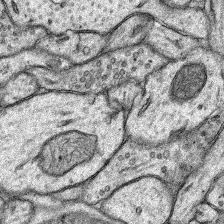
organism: Rat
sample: Hippocampus